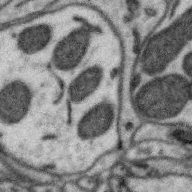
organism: Zebra finch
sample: Brain